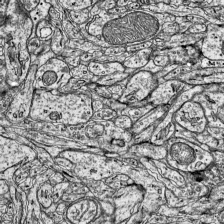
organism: Mouse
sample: Visual Cortex